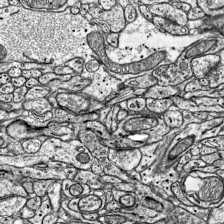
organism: Mouse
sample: Visual Cortex